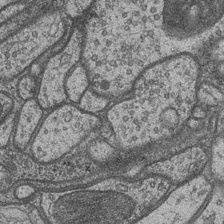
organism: Drosophila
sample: Optic medulla